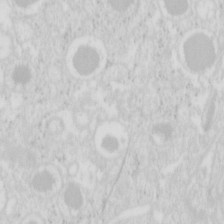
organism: Mouse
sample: Pancreas